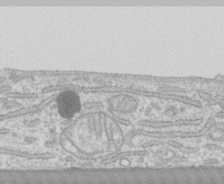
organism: Human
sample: CRL-1474